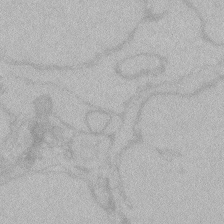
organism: Zebrafish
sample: Macrophage infected with Toxoplasma gondii